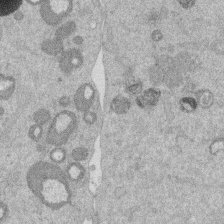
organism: Mouse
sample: Dividing mouse embryo 1 cell stage